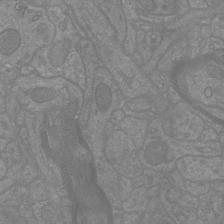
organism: Mouse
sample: Cortical neurons